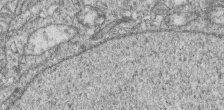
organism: Human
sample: HeLa cell HIV synapse